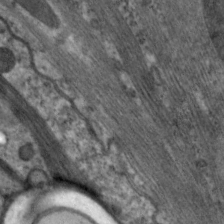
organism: C. elegans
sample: Pharynx